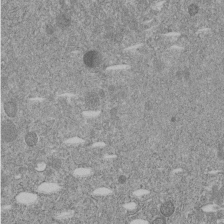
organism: C. elegans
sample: C. elegans embryo early stage